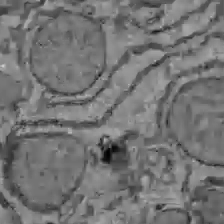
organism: C57BL Mouse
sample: Liver